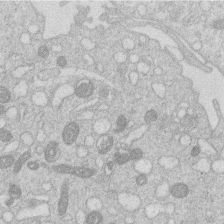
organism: Human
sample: Macrophage cells